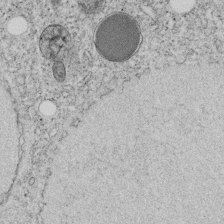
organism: C. elegans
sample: C. elegans embryo early stage